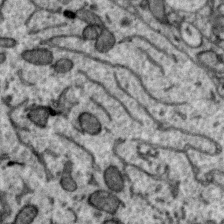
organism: Zebra finch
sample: Brain